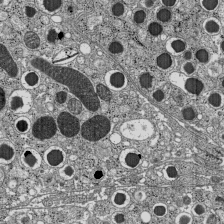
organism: C57BL Mouse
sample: Pancreatic islet